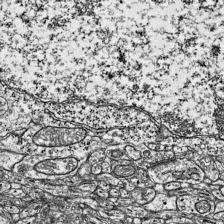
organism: Mouse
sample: Visual Cortex